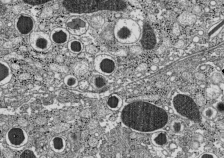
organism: C57BL Mouse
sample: Pancreatic islet